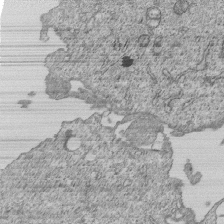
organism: Human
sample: MDA-MB-231 cells